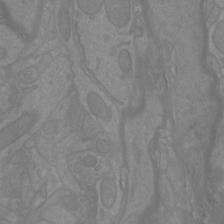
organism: Mouse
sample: Cortical neurons